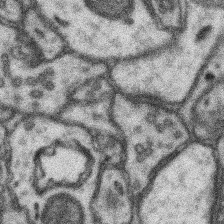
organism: Mouse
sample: Somatosensory cortex neuropil